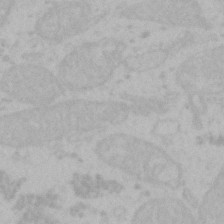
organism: Mouse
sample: Choroid plexus